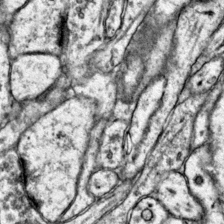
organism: Mouse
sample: Primary visual cortex